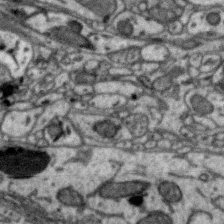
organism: Zebra finch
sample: Brain